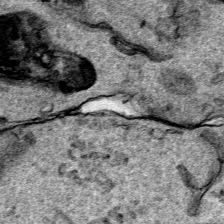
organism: Human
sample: Mitochondria in HCT116 cells